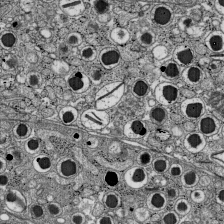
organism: C57BL Mouse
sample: Pancreatic islet